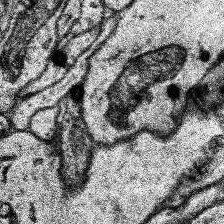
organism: Human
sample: Temporal Lobe